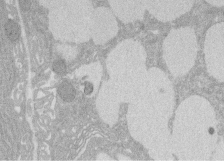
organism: Rat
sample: Salivary granule